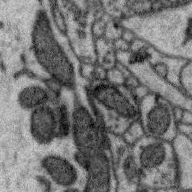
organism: Zebra finch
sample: Brain